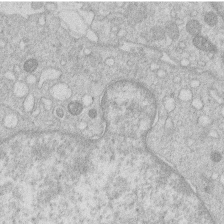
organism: Human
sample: Macrophage cells